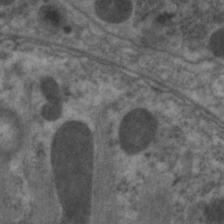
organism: C. elegans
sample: Pharynx